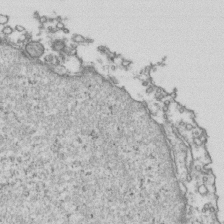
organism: Human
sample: Activated Jurkat CD4+ T cells